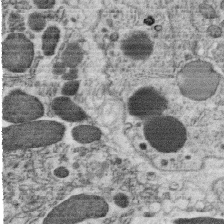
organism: C. elegans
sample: C. elegans oocyte; sperm cells